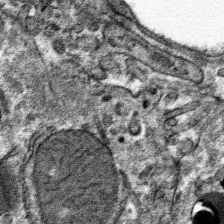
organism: Mouse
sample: Mouse hepatocytes